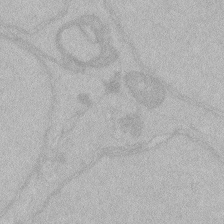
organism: Zebrafish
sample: Macrophage infected with Toxoplasma gondii